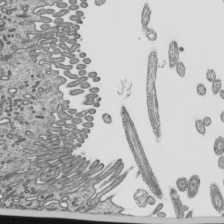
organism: Mouse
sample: Mouse epididymis efferent ductule cilia